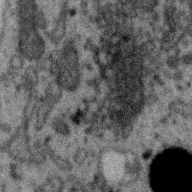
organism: Zebra finch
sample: Brain